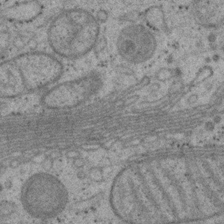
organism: Human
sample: HeLa cells